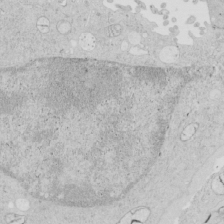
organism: Human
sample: Mitochondria in HCT116 cells